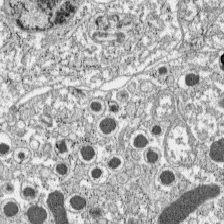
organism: C57BL Mouse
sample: Pancreatic islet